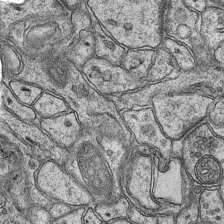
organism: Mouse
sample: CA1 Hippocampus